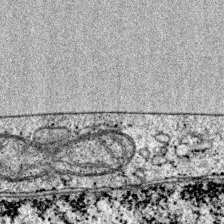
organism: Human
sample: HeLa cells